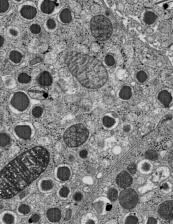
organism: C57BL Mouse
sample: Pancreatic islet